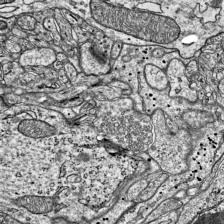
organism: Mouse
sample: Visual Cortex